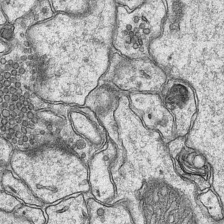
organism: Mouse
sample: CA1 Hippocampus